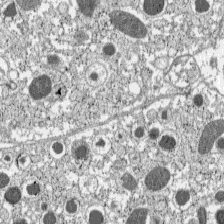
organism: C57BL Mouse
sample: Pancreatic islet